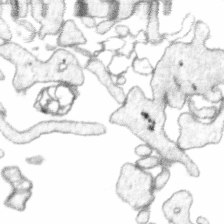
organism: Human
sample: HeLa cells